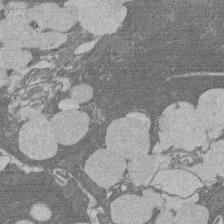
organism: Rat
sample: Salivary granule